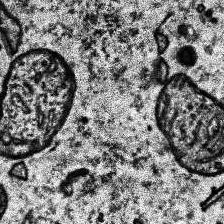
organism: Human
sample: Temporal Lobe